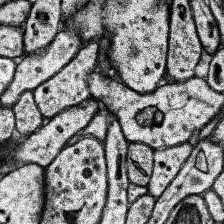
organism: Human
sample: Temporal Lobe